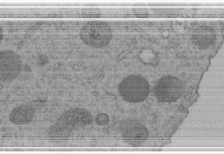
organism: C. elegans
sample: C. elegans embryo early stage